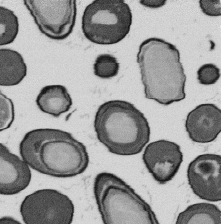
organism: B. subtilis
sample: Bacterial spore